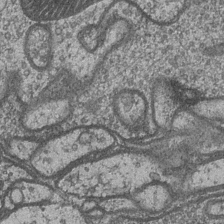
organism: Drosophila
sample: Optic medulla